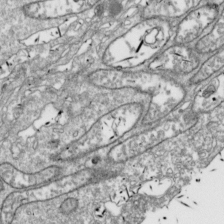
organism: Drosophila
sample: Cell division; meiosis; drosophila spermatocytes